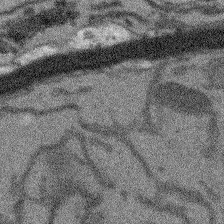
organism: Arabidopsis thaliana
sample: Root tip